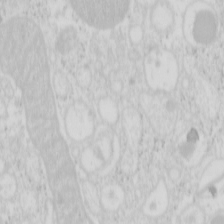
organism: Mouse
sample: Pancreas